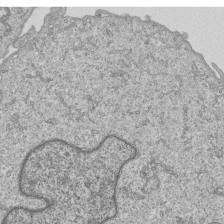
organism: Human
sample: MDA-MB-231 cells